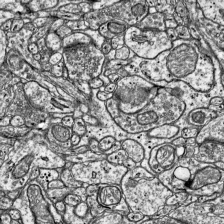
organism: Mouse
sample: Visual Cortex